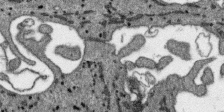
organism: Human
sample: Lung epithelial cells, uninfected (mock) control